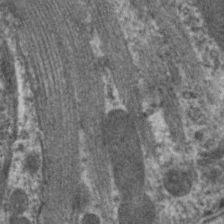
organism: C. elegans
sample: Pharynx